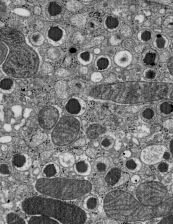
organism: C57BL Mouse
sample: Pancreatic islet